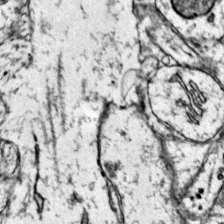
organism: Mouse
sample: Primary visual cortex